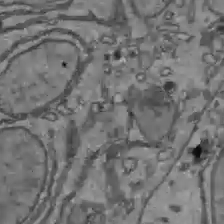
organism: C57BL Mouse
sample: Liver